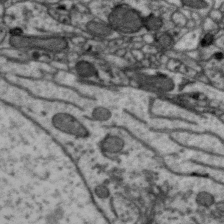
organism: Zebra finch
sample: Brain